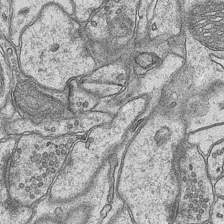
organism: Mouse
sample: CA1 Hippocampus